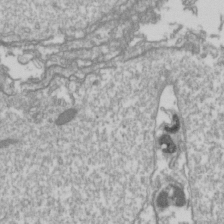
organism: Drosophila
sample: Cell division; meiosis; drosophila spermatocytes